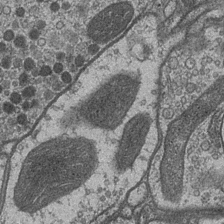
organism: Drosophila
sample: Optic medulla